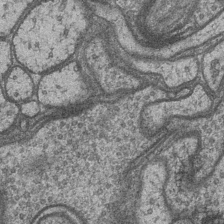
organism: Drosophila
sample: Optic medulla